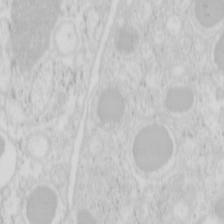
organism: Mouse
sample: Pancreas